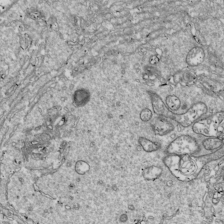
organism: Drosophila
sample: Cell division; meiosis; drosophila spermatocytes